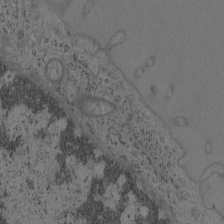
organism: Mouse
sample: OT-I killer T cells with ID8 ovarian cancer cells